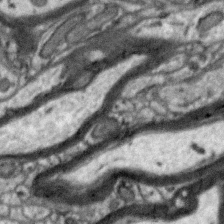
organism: Zebra finch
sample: Brain